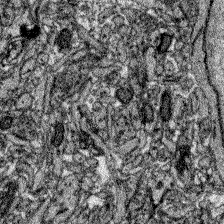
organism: Zebrafish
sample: Larval olfactory bulb